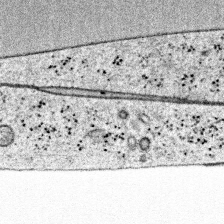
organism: Human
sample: HeLa cells